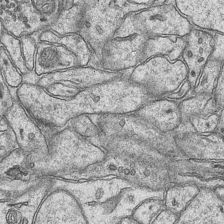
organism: Mouse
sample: CA1 Hippocampus